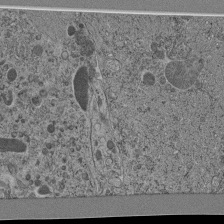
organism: C. elegans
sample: C. elegans pharynx